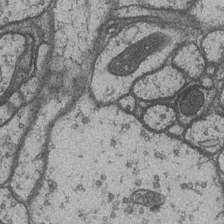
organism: Drosophila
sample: Optic medulla